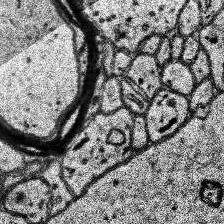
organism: Human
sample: Temporal Lobe